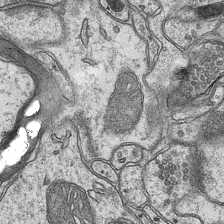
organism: Mouse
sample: CA1 Hippocampus